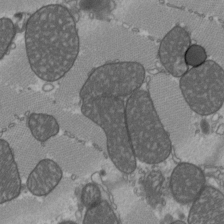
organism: C57BL Mouse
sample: Heart